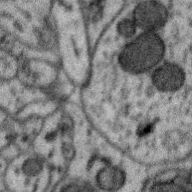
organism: Zebra finch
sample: Brain